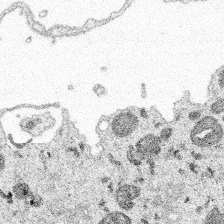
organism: Spongilla lacustris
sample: Multiple